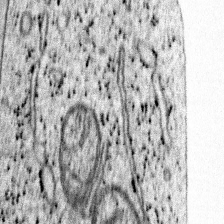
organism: Human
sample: HeLa cells